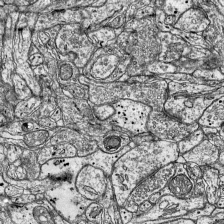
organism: Mouse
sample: Visual Cortex